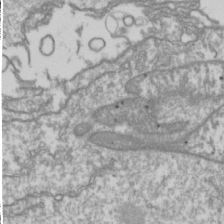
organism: Drosophila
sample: Cell division; meiosis; drosophila spermatocytes